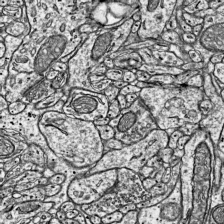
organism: Mouse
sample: Visual Cortex